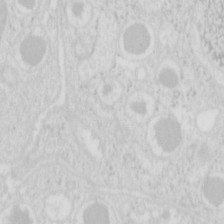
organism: Mouse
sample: Pancreas